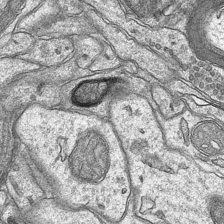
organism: Mouse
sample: CA1 Hippocampus